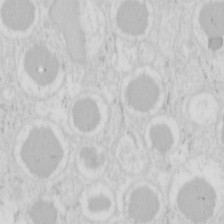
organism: Mouse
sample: Pancreas